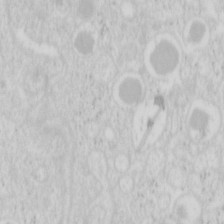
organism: Mouse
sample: Pancreas